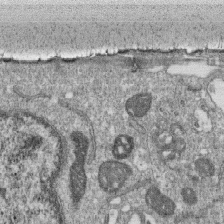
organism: African green monkey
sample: Vero E6 cells infected with SARS-CoV-2